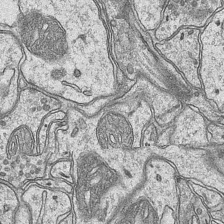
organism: Mouse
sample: CA1 Hippocampus